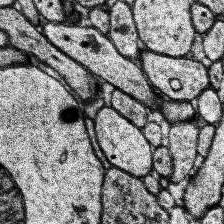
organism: Human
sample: Temporal Lobe